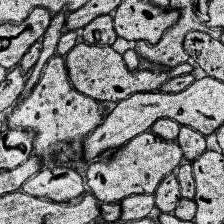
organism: Human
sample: Temporal Lobe